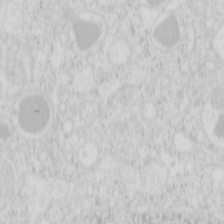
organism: Mouse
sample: Pancreas